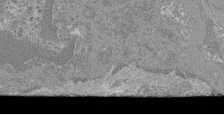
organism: Mouse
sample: Glomerulus